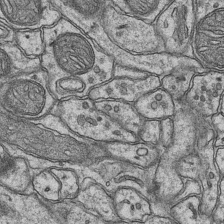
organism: Mouse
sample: CA1 Hippocampus